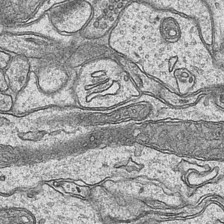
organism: Mouse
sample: CA1 Hippocampus